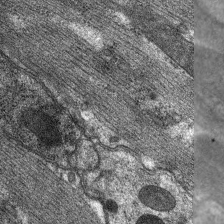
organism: C. elegans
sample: Pharynx